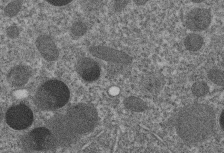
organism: C. elegans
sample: C. elegans embryo early stage